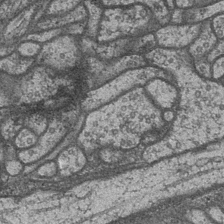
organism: Drosophila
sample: Optic medulla